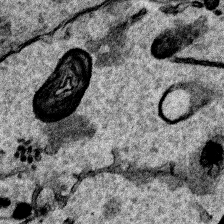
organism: Human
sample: Mitochondria in HCT116 cells